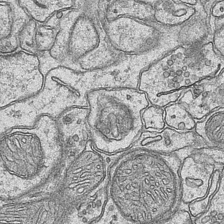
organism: Mouse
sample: CA1 Hippocampus